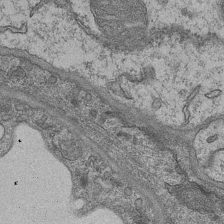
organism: Mouse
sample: CA1 Hippocampus